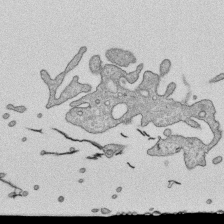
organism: Human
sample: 1205lu cells